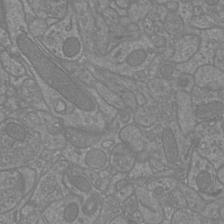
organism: Mouse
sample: Cortical neurons